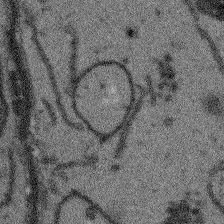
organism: Arabidopsis thaliana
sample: Root tip